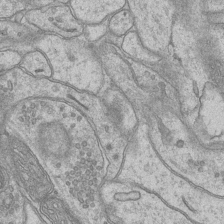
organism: Mouse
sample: CA1 Hippocampus